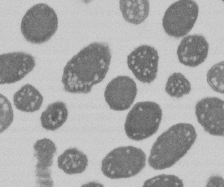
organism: E. coli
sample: Bacterial nucleoid